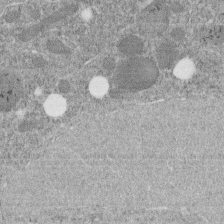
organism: C. elegans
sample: C. elegans embryo early stage